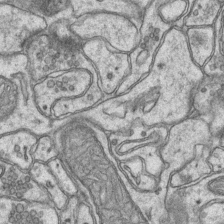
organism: Mouse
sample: CA1 Hippocampus